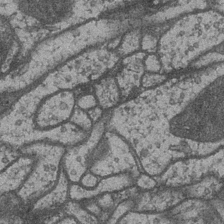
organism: Drosophila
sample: Optic medulla